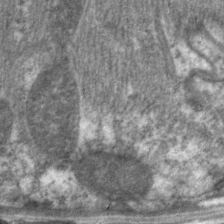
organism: C. elegans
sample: Pharynx